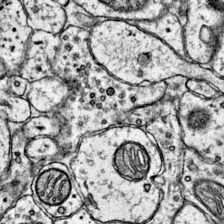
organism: Mouse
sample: Primary visual cortex